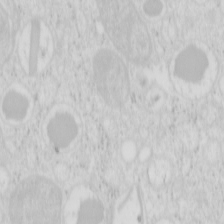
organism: Mouse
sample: Pancreas